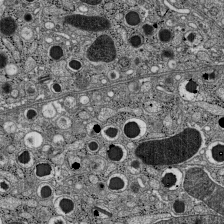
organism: C57BL Mouse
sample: Pancreatic islet